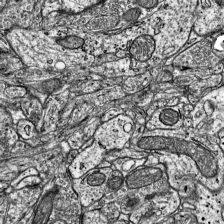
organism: Mouse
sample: Visual Cortex